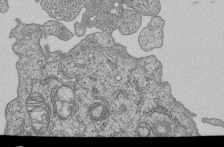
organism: Human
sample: MDA-MB-231 cells